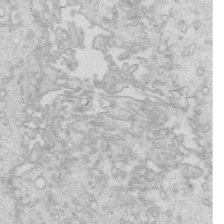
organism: Mouse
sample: Multiciliated cells